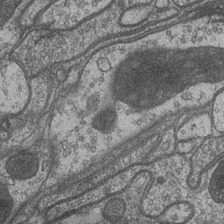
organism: Drosophila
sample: Optic medulla